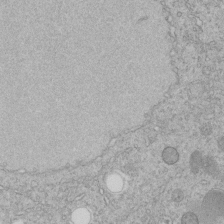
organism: C. elegans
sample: C. elegans embryo early stage